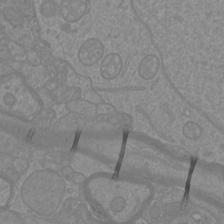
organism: Mouse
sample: Cortical neurons